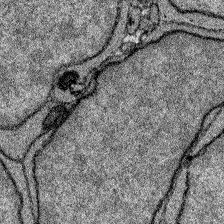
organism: Zebrafish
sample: Larval olfactory bulb